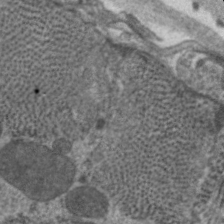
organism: C. elegans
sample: Pharynx